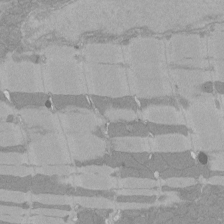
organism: Rat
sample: Left ventricle